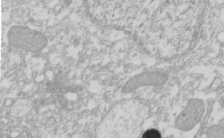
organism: Xenopus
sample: Cilia; centrioles in frog embryo cells